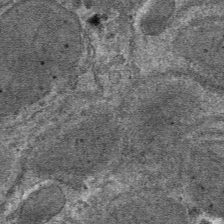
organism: Mouse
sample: Mouse hepatocytes